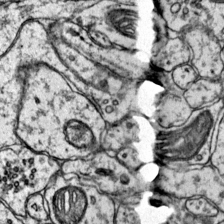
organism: Mouse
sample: Primary visual cortex